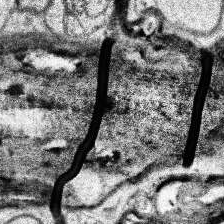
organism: Human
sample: Temporal Lobe